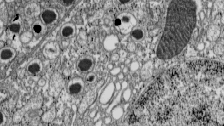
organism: C57BL Mouse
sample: Pancreatic islet